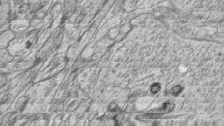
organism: Zebrafish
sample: synaptic ribbons in rod cells and cone cells